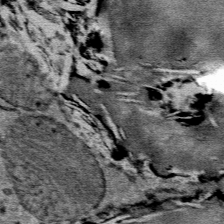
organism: Mouse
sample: Mouse Salivary gland